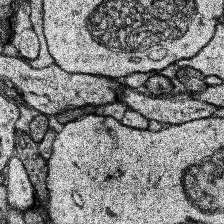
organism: Human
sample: Temporal Lobe